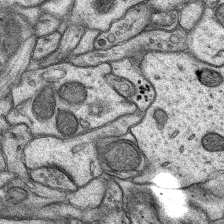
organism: Rat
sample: Hippocampus